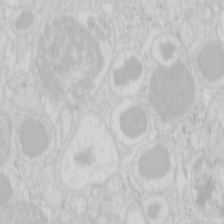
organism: Mouse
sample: Pancreas